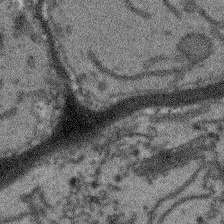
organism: Arabidopsis thaliana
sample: Root tip